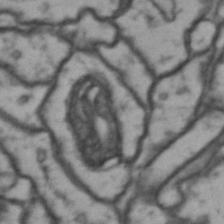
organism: Drosophila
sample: Brain